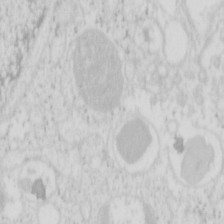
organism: Mouse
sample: Pancreas